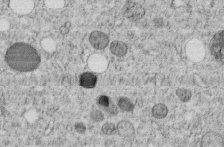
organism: C. elegans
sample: C. elegans embryo early stage